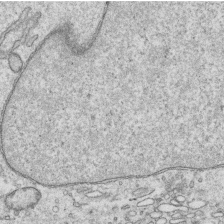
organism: Human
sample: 1205lu cells